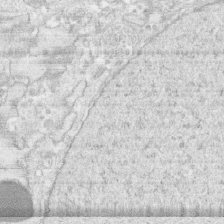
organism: Human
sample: CRL-1474